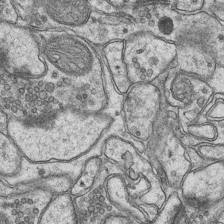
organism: Mouse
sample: CA1 Hippocampus